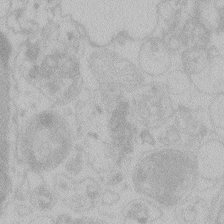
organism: Zebrafish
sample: Macrophage infected with Toxoplasma gondii